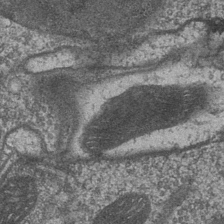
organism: Drosophila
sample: Optic medulla